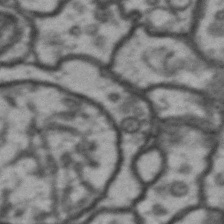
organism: Drosophila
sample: Brain